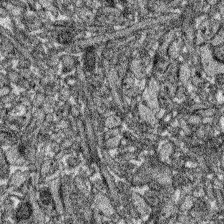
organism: Zebrafish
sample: Larval olfactory bulb